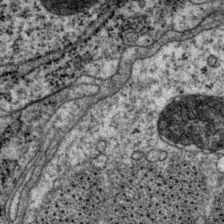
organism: P. pacificus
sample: Pharynx